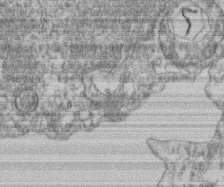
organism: Mouse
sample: T cell stromal cell synapse